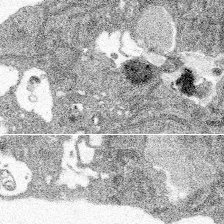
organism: Spongilla lacustris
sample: Multiple